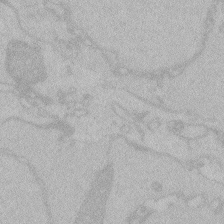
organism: Zebrafish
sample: Macrophage infected with Toxoplasma gondii